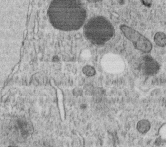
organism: C. elegans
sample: C. elegans embryo early stage